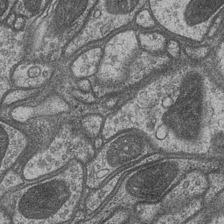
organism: Drosophila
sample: Optic medulla